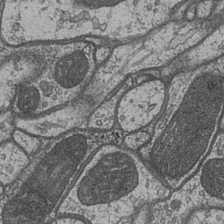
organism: Drosophila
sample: Optic medulla